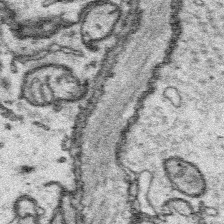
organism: Platynereis dumerilii